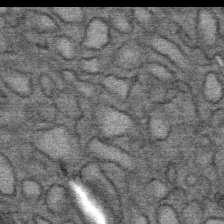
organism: Mouse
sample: Mouse Salivary gland